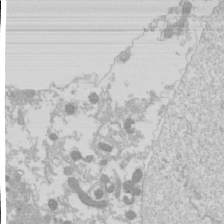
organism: Drosophila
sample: Cell division; meiosis; drosophila spermatocytes